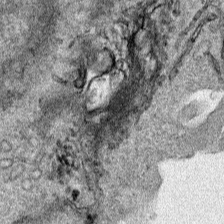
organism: Human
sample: Mitochondria in HCT116 cells